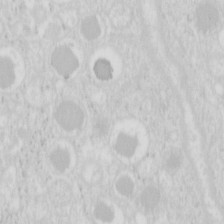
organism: Mouse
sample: Pancreas